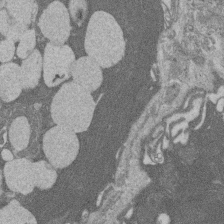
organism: Rat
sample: Salivary granule